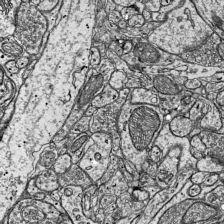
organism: Mouse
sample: Visual Cortex